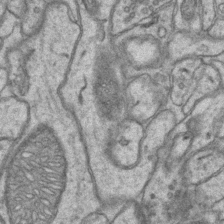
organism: Mouse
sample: CA1 Hippocampus